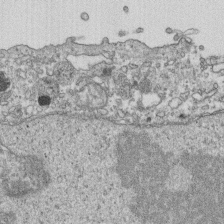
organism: Human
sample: HeLa cell HIV synapse